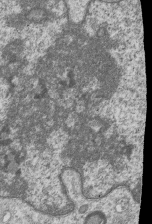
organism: Human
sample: MDA-MB-231 cells